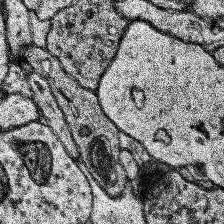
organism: Human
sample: Temporal Lobe